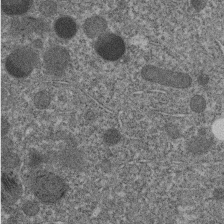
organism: C. elegans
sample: C. elegans embryo early stage